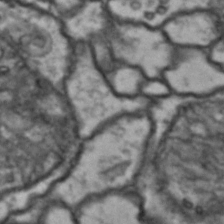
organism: Drosophila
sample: Brain